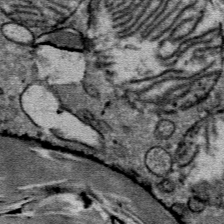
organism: Mouse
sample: Mouse Salivary gland